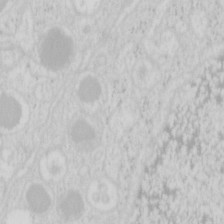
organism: Mouse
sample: Pancreas